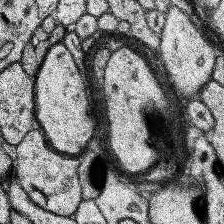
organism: Human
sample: Temporal Lobe